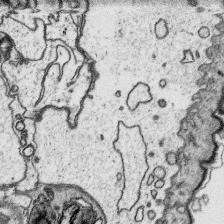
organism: Platynereis dumerilii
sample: Parapodia